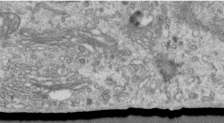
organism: Human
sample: Centriole in RPE cells